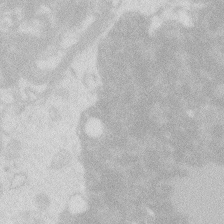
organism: Zebrafish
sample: Macrophage